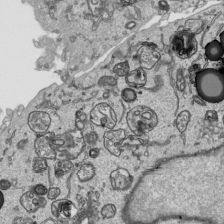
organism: Human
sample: Mitochondria in HCT116 cells